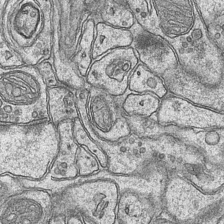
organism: Mouse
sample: CA1 Hippocampus